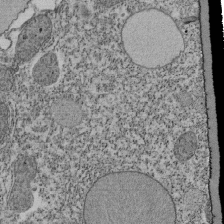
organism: Tetrahymena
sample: Cilia in tetrahymena